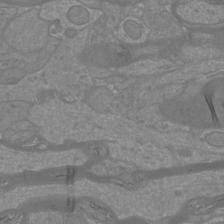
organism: Mouse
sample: Cortical neurons